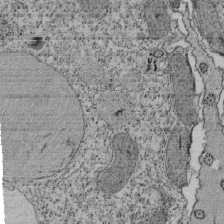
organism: Tetrahymena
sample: Cilia in tetrahymena